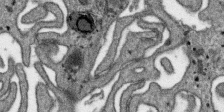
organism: Human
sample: Lung epithelial cells, uninfected (mock) control